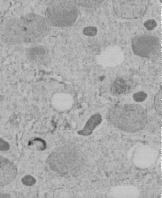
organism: C. elegans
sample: C. elegans embryo early stage